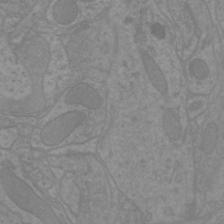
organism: Mouse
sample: Cortical neurons